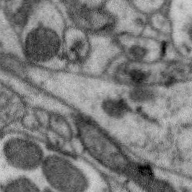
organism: Zebra finch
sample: Brain